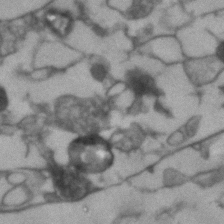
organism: Human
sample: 1205lu cells